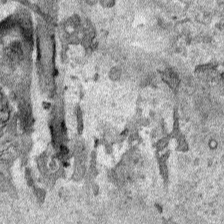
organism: Human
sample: Mitochondria in HCT116 cells